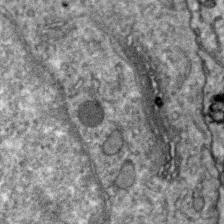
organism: Zebra finch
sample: Brain